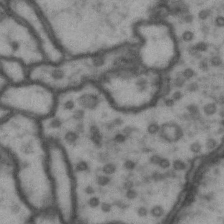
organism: Drosophila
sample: Brain